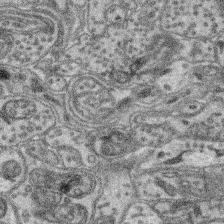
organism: Mouse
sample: Retina